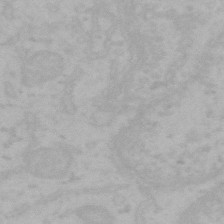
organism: Mouse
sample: Choroid plexus